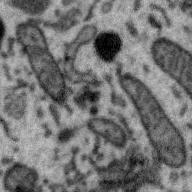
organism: Zebra finch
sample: Brain